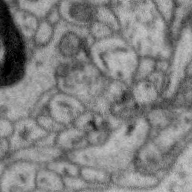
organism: Zebra finch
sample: Brain